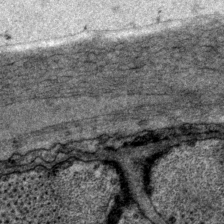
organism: P. pacificus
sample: Pharynx